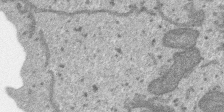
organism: Human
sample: Lung epithelial cells infected with SARS-CoV-2